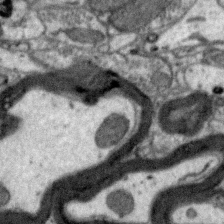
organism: Zebra finch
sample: Brain